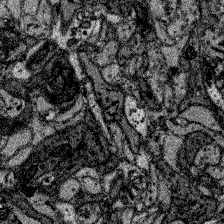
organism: Zebrafish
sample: Larval olfactory bulb